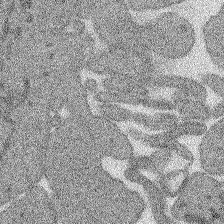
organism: Human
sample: HeLa cells